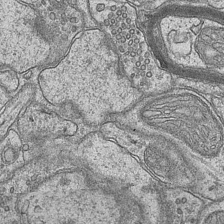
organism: Mouse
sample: CA1 Hippocampus